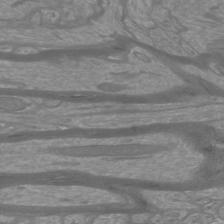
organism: Mouse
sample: Cortical neurons